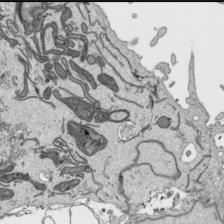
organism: Human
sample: Mitochondria in HCT116 cells